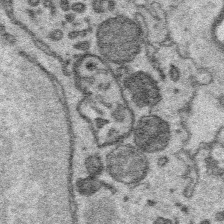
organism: Platynereis dumerilii